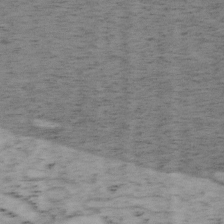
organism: Mouse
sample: OT-I killer T cells with ID8 ovarian cancer cells